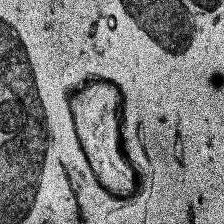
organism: Human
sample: Temporal Lobe